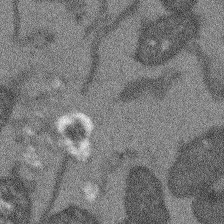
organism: Arabidopsis thaliana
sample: Root tip